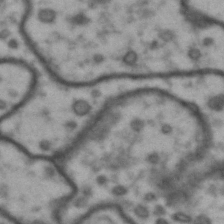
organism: Drosophila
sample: Brain